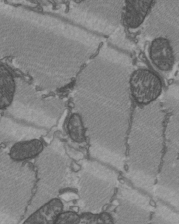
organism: C57BL Mouse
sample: Heart